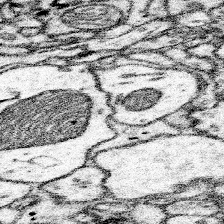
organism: Mouse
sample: Somatosensory cortex neuropil